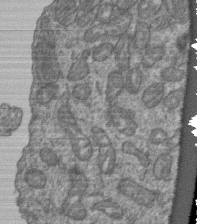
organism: Human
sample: Retinal organoid Rod and Cone cells